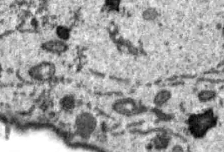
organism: Human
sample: HeLa cells